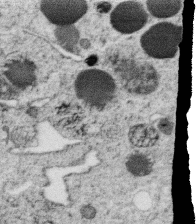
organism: C. elegans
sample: C. elegans oocyte; sperm cells